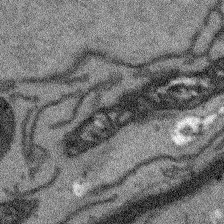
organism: Arabidopsis thaliana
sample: Root tip